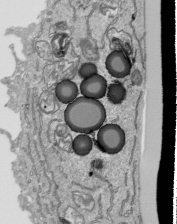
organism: Human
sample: Mitochondria in HCT116 cells